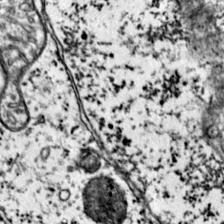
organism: Mouse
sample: Primary visual cortex